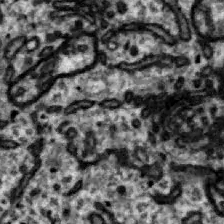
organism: Human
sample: HeLa cells